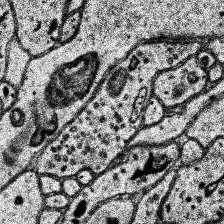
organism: Human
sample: Temporal Lobe